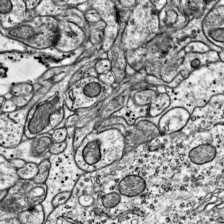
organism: Mouse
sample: Visual Cortex